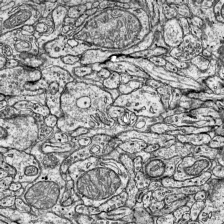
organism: Mouse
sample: Visual Cortex